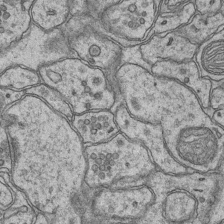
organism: Mouse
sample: CA1 Hippocampus